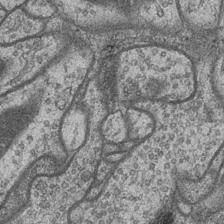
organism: Drosophila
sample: Optic medulla